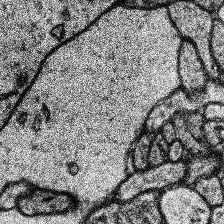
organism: Human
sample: Temporal Lobe